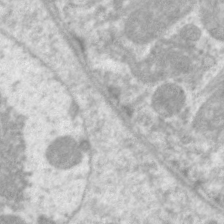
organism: C. elegans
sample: Pharynx